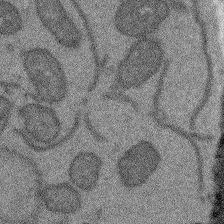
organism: Arabidopsis thaliana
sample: Root tip